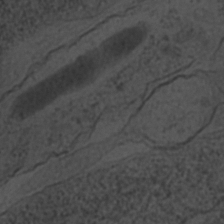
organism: C. elegans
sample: C. elegans embryo